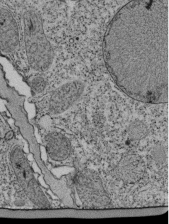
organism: Tetrahymena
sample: Cilia in tetrahymena